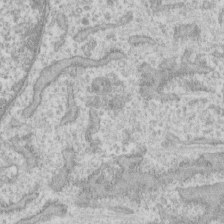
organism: Human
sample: CRL-1474